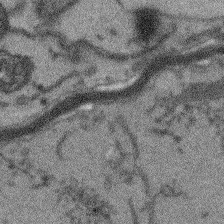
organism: Arabidopsis thaliana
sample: Root tip